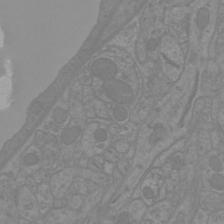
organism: Mouse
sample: Cortical neurons